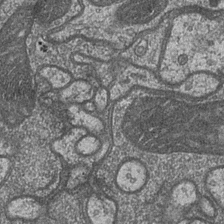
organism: Drosophila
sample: Optic medulla